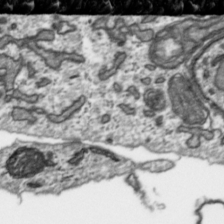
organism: Toxoplasma gondii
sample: Parasites in a vacuole inside a host cell